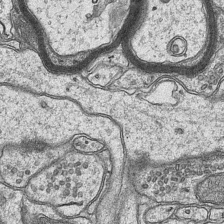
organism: Mouse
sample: CA1 Hippocampus